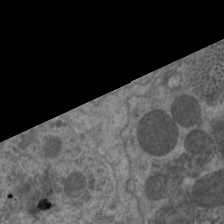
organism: C. elegans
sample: Pharynx